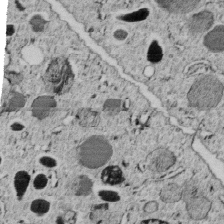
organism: C. elegans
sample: C. elegans embryo early stage